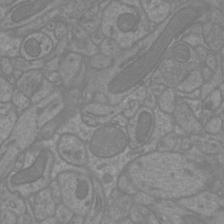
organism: Mouse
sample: Cortical neurons